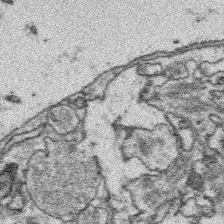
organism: Platynereis dumerilii